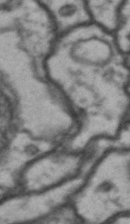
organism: Drosophila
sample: Brain